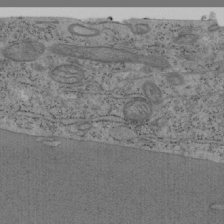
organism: Human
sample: HeLa cells